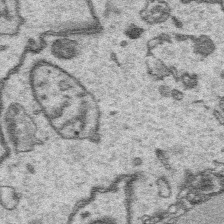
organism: Platynereis dumerilii